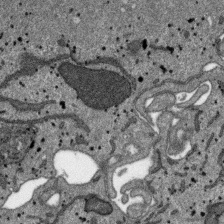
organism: Human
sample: Lung epithelial cells, uninfected (mock) control